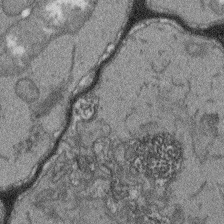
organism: Arabidopsis thaliana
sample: Root tip